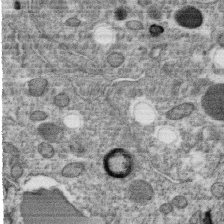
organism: C. elegans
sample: C. elegans oocyte; sperm cells